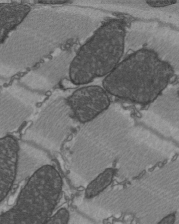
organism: C57BL Mouse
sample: Heart